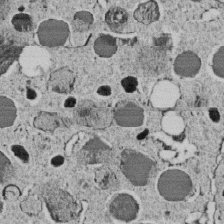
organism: C. elegans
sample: C. elegans embryo early stage